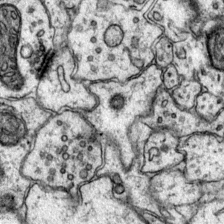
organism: Mouse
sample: Primary visual cortex